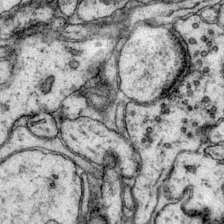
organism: Mouse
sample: Primary visual cortex